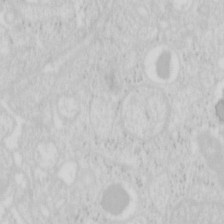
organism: Mouse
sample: Pancreas